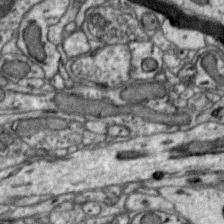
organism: Zebra finch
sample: Brain